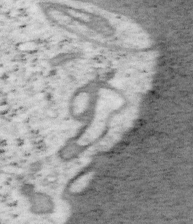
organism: Mouse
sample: OT-I killer T cells with ID8 ovarian cancer cells